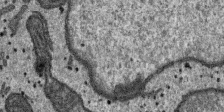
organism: Human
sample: Lung epithelial cells, uninfected (mock) control